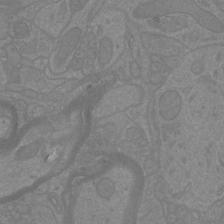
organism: Mouse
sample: Cortical neurons